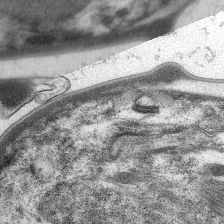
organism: C. elegans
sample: Pharynx